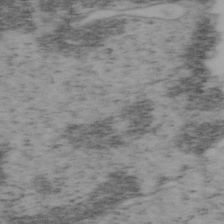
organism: Mouse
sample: OT-I killer T cells with ID8 ovarian cancer cells